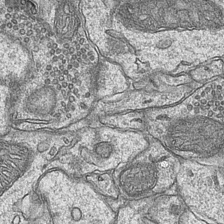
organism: Mouse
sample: CA1 Hippocampus